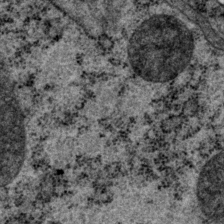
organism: P. pacificus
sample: Pharynx